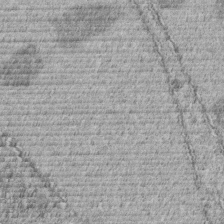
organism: C. elegans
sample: C. elegans embryo early stage